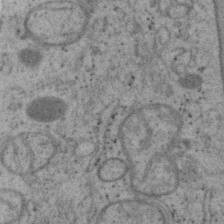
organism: Human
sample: HeLa cells